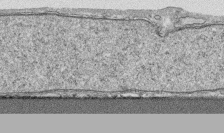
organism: Human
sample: CRL-1474